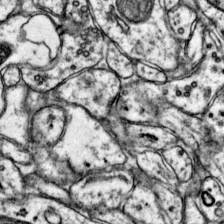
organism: Mouse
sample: Primary visual cortex